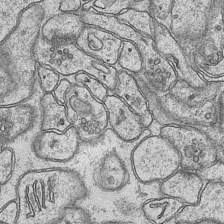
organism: Mouse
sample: CA1 Hippocampus